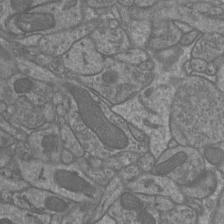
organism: Mouse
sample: Cortical neurons